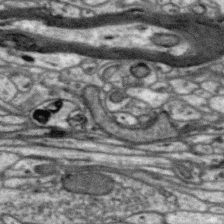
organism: Zebra finch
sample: Brain